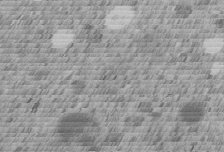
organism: C. elegans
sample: C. elegans embryo early stage